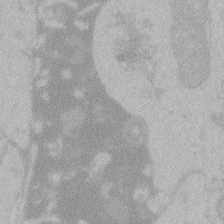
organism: Zebrafish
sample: Macrophage infected with Toxoplasma gondii